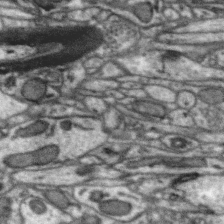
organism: Zebra finch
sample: Brain